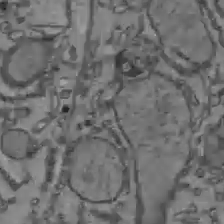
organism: C57BL Mouse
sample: Liver